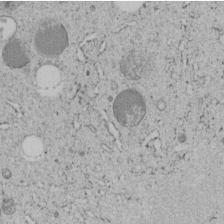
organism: C. elegans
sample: C. elegans embryo early stage